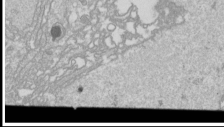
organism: Drosophila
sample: Cell division; meiosis; drosophila spermatocytes